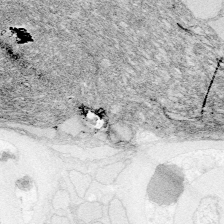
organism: Zebrafish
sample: Whole-Brain